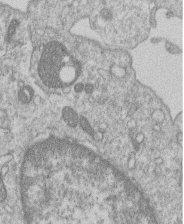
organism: Human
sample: Macrophage cells